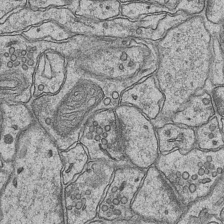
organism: Mouse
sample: CA1 Hippocampus